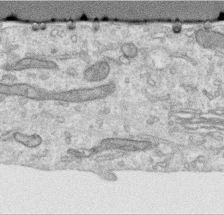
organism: Human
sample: Centriole in RPE cells